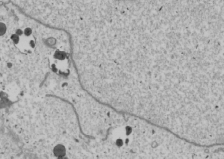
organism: Human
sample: Mitochondria in U2OS cells